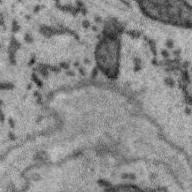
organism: Zebra finch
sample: Brain